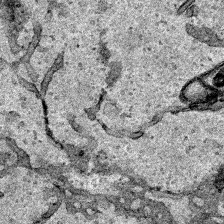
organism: Human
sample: Mitochondria in HCT116 cells